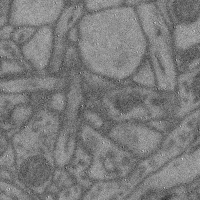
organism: Mouse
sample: Cerebral cortex